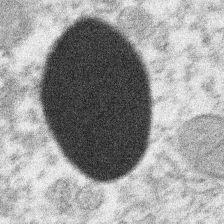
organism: Xenopus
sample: Cilia; centrioles in frog embryo cells